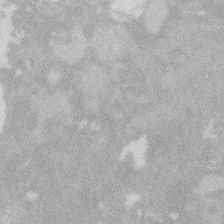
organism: Zebrafish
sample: Macrophage